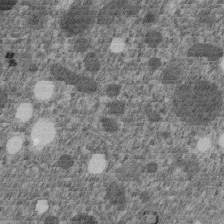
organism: C. elegans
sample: C. elegans embryo early stage